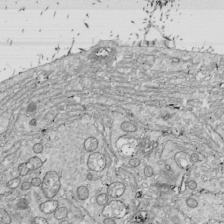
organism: Drosophila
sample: Cell division; meiosis; drosophila spermatocytes